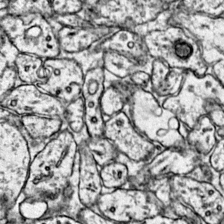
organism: Mouse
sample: Primary visual cortex